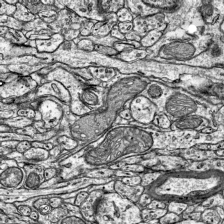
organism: Mouse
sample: Visual Cortex